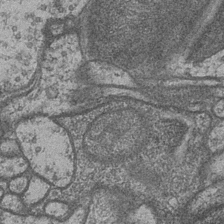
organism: Drosophila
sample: Optic medulla